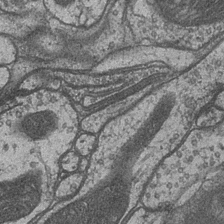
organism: Drosophila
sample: Optic medulla